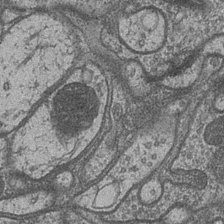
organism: Drosophila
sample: Optic medulla